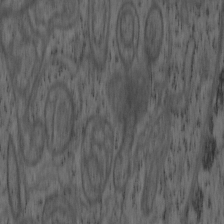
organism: Human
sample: HeLa cells